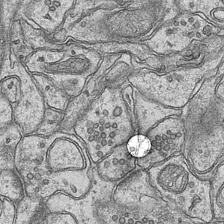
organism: Mouse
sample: CA1 Hippocampus